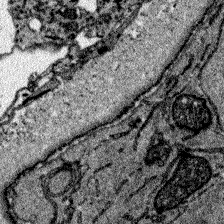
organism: Zebrafish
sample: Larval olfactory bulb